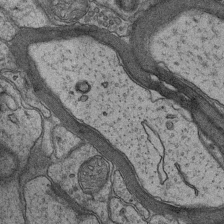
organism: Mouse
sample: CA1 Hippocampus